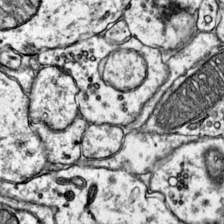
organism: Mouse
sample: Primary visual cortex